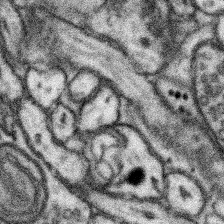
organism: Mouse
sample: Somatosensory cortex neuropil